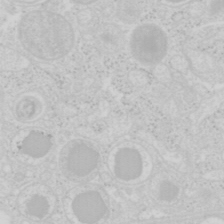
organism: Mouse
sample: Pancreas